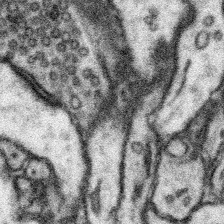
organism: Mouse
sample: Somatosensory cortex neuropil